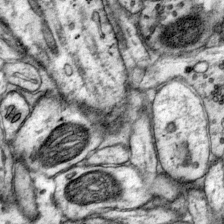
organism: Mouse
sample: Primary visual cortex